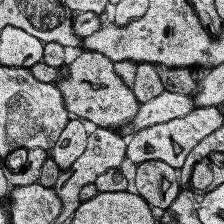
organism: Human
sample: Temporal Lobe